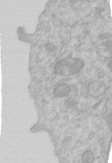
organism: Human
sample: Centriole in RPE cells